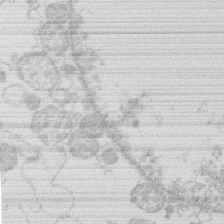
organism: Human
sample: Macrophage cells